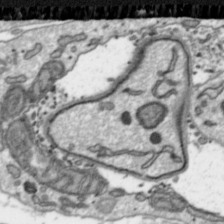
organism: Toxoplasma gondii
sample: Parasites in a vacuole inside a host cell